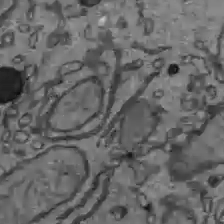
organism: C57BL Mouse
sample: Liver